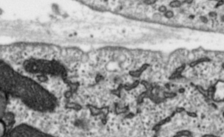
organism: Toxoplasma gondii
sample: Parasites in a vacuole inside a host cell